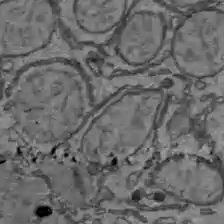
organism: C57BL Mouse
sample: Liver